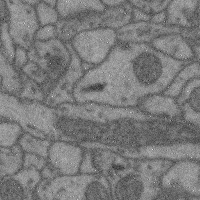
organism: Mouse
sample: Cerebral cortex